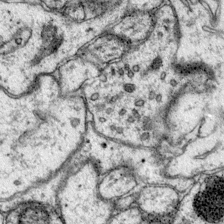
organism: Mouse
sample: Primary visual cortex